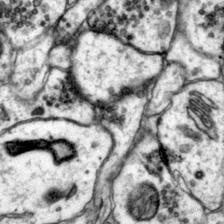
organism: Mouse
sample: Primary visual cortex